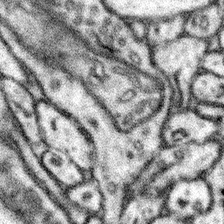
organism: Mouse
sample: Somatosensory cortex neuropil